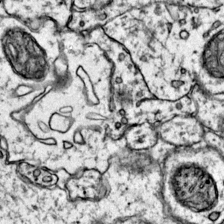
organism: Mouse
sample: Primary visual cortex